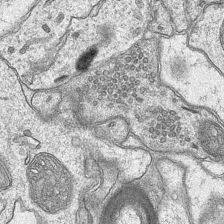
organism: Mouse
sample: CA1 Hippocampus